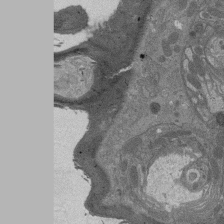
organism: Drosophila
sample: Antenna